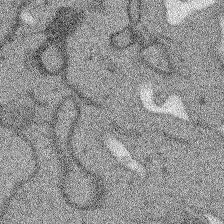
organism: Human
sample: HeLa cells